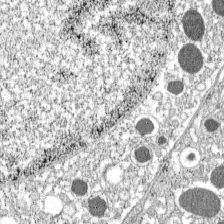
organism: C57BL Mouse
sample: Pancreatic islet